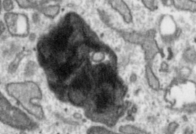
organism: Toxoplasma gondii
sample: Parasites in a vacuole inside a host cell